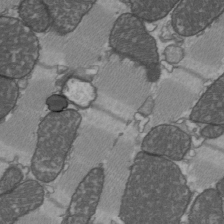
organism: C57BL Mouse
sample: Heart